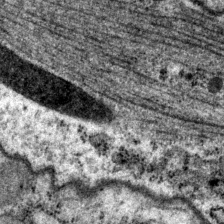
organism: P. pacificus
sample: Pharynx